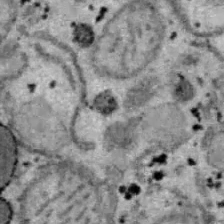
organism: Mouse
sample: Liver from an obese (ob/ob) mouse